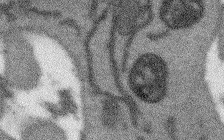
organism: Arabidopsis thaliana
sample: Root tip